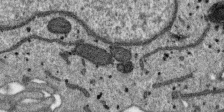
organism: Human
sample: Lung epithelial cells, uninfected (mock) control